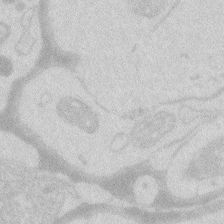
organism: Zebrafish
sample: Macrophage